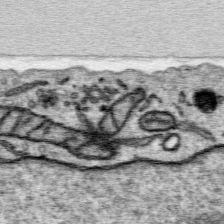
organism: Human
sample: HeLa cells